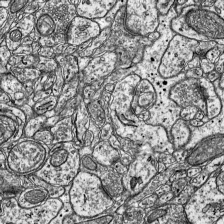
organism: Mouse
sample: Visual Cortex